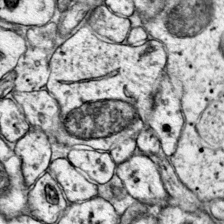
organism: Mouse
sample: Primary visual cortex